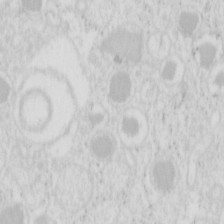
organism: Mouse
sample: Pancreas